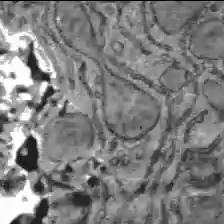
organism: C57BL Mouse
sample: Liver